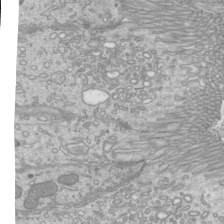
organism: Mouse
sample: Cilia; mouse epididymis